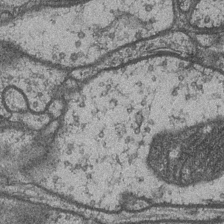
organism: Drosophila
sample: Optic medulla